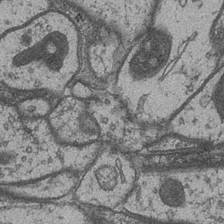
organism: Drosophila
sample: Optic medulla